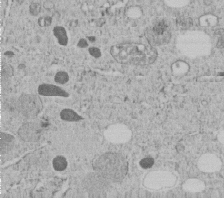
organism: C. elegans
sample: C. elegans embryo early stage